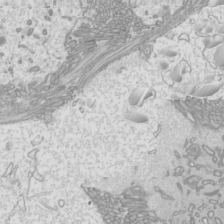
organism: Mouse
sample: Cilia; mouse epididymis